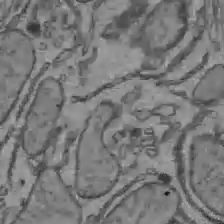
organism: C57BL Mouse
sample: Liver